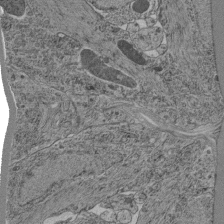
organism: C. elegans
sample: C. elegans pharynx